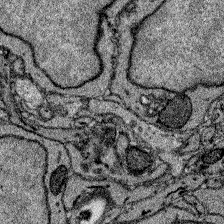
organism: Zebrafish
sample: Larval olfactory bulb